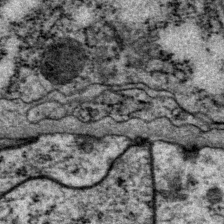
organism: P. pacificus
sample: Pharynx